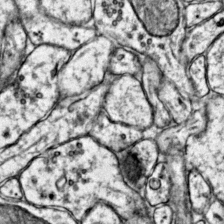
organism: Mouse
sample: Primary visual cortex